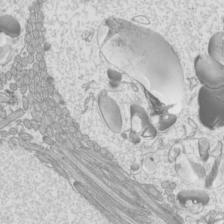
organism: Mouse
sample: Cilia; mouse epididymis